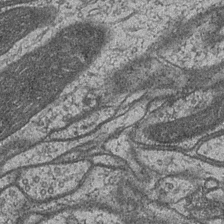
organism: Drosophila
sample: Optic medulla